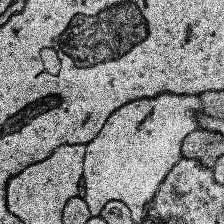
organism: Human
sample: Temporal Lobe